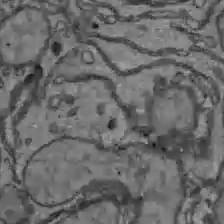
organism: C57BL Mouse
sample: Liver